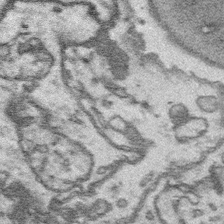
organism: Platynereis dumerilii